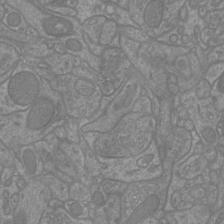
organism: Mouse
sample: Cortical neurons